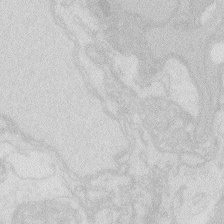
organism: Zebrafish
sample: Macrophage